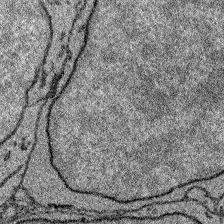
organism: Zebrafish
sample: Larval olfactory bulb